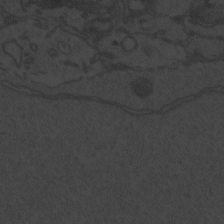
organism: Zebrafish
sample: Macrophage infected with Toxoplasma gondii